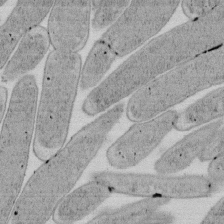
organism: E. coli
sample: Bacterial nucleoid